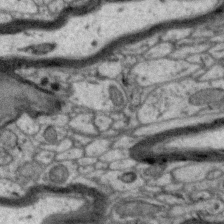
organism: Zebra finch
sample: Brain